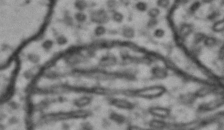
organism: Drosophila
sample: Brain